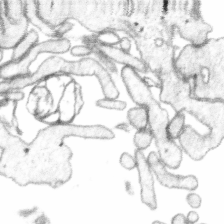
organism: Human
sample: HeLa cells